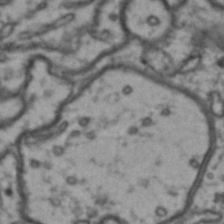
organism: Drosophila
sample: Brain